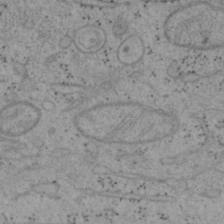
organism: Human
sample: HeLa cells